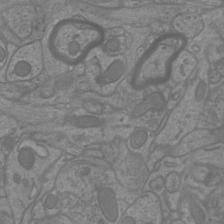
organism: Mouse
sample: Cortical neurons